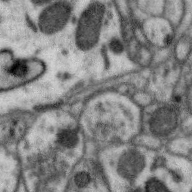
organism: Zebra finch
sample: Brain